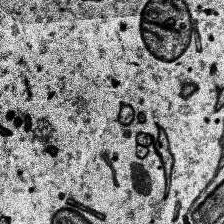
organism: Human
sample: Temporal Lobe